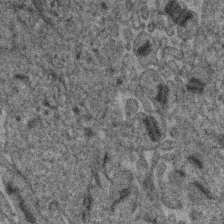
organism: Human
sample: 1205lu cells